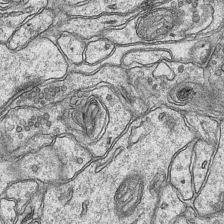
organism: Mouse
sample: CA1 Hippocampus